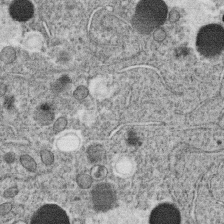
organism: C. elegans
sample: C. elegans oocyte; sperm cells